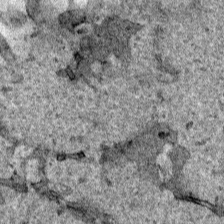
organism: Human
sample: Mitochondria in HCT116 cells